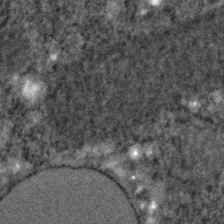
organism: C. elegans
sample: C. elegans embryo